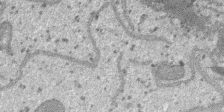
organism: Human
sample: Lung epithelial cells infected with SARS-CoV-2